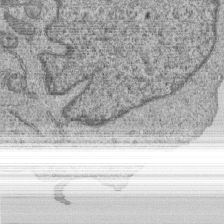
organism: Human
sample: MDA-MB-231 cells